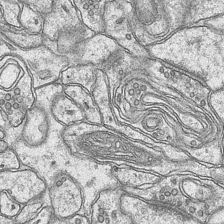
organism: Mouse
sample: CA1 Hippocampus